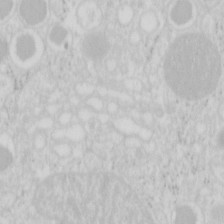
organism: Mouse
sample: Pancreas